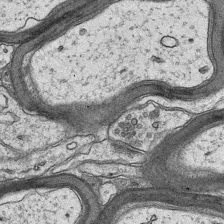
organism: Mouse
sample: CA1 Hippocampus